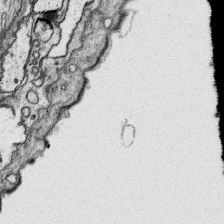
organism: Platynereis dumerilii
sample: Parapodia